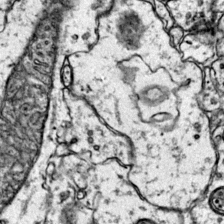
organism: Mouse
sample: Primary visual cortex